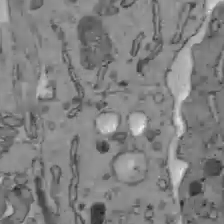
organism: C57BL Mouse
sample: Liver